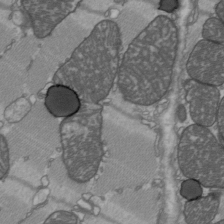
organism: C57BL Mouse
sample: Heart